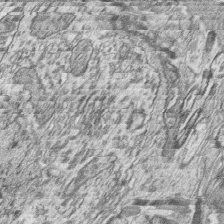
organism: Zebrafish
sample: synaptic ribbons in rod cells and cone cells